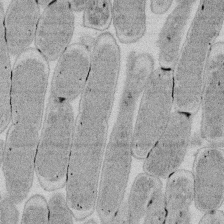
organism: E. coli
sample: Bacterial nucleoid